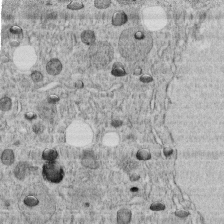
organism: C. elegans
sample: C. elegans embryo early stage